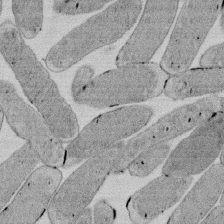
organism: E. coli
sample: Bacterial nucleoid